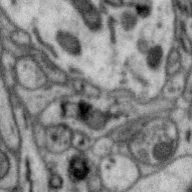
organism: Zebra finch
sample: Brain